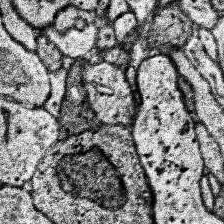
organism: Human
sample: Temporal Lobe